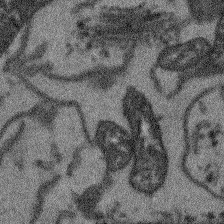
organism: Arabidopsis thaliana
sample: Root tip